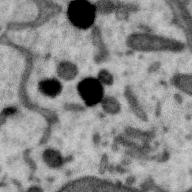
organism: Zebra finch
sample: Brain